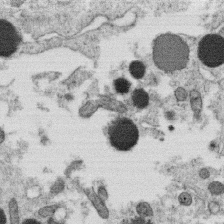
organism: C. elegans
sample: C. elegans oocyte; sperm cells